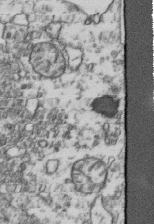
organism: Human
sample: Activated Jurkat CD4+ T cells